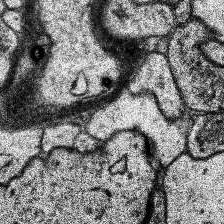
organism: Human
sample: Temporal Lobe